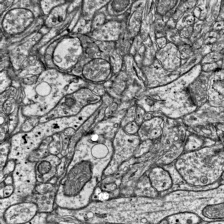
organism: Mouse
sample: Visual Cortex